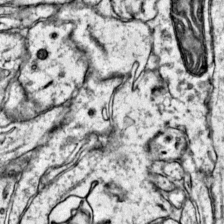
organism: Mouse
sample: Primary visual cortex